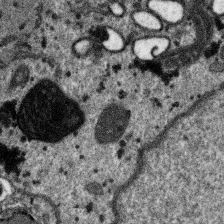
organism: Human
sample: Lung epithelial cells infected with SARS-CoV-2